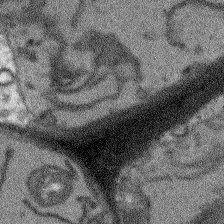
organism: Arabidopsis thaliana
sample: Root tip